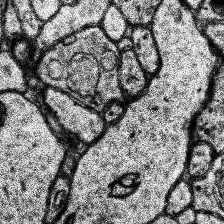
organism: Human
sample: Temporal Lobe